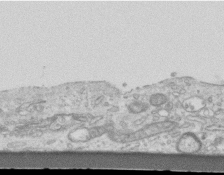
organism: Mouse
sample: Centriole in ependymal cells